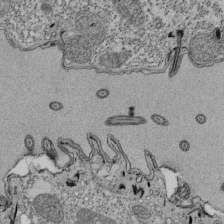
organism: Tetrahymena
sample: Cilia in tetrahymena